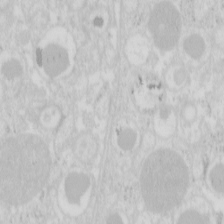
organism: Mouse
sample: Pancreas